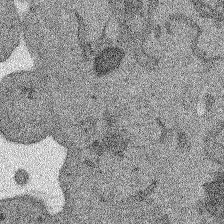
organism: Human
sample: HeLa cells